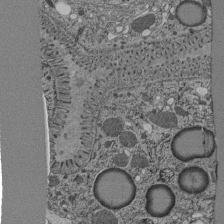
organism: C. elegans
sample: C. elegans pharynx